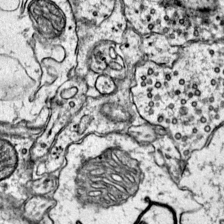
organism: Mouse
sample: Primary visual cortex